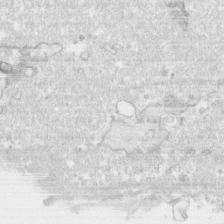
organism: Human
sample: CRL-1474